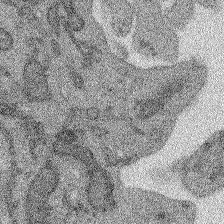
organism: Human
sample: HeLa cells